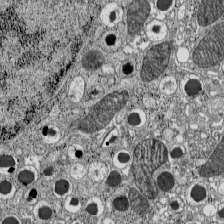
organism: C57BL Mouse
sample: Pancreatic islet